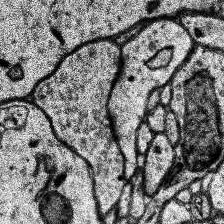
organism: Human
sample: Temporal Lobe